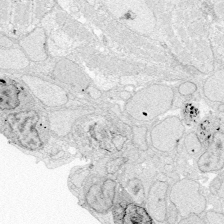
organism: Zebrafish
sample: Whole-Brain